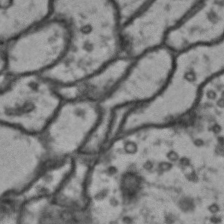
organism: Drosophila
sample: Brain